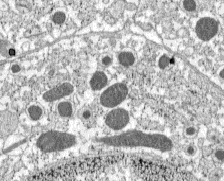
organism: C57BL Mouse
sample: Pancreatic islet